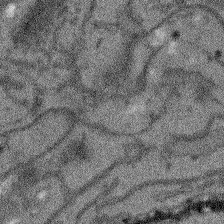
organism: Arabidopsis thaliana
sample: Root tip